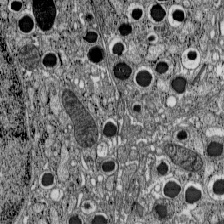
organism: C57BL Mouse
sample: Pancreatic islet